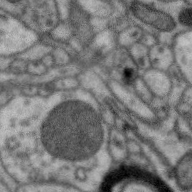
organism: Zebra finch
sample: Brain